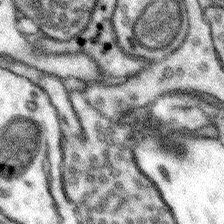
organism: Mouse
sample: Somatosensory cortex neuropil